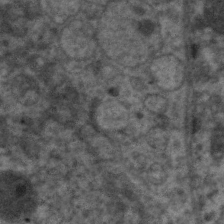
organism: C. elegans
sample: Pharynx